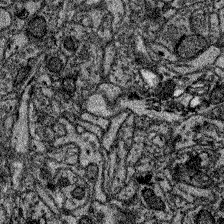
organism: Zebrafish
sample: Larval olfactory bulb